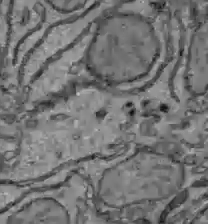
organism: C57BL Mouse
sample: Liver